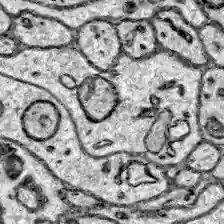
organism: Zebrafish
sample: Brain